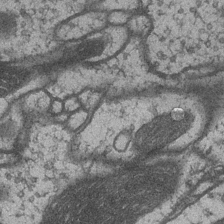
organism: Drosophila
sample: Optic medulla